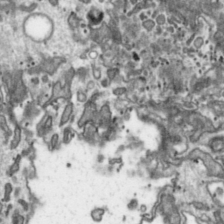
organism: Toxoplasma gondii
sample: Parasites in a vacuole inside a host cell